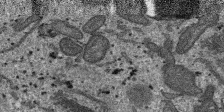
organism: Human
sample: Lung epithelial cells infected with SARS-CoV-2